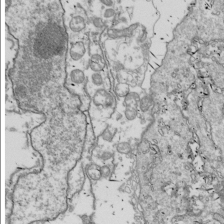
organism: Drosophila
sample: Cell division; meiosis; drosophila spermatocytes